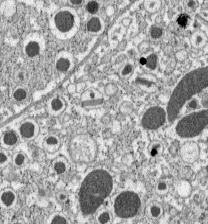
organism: C57BL Mouse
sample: Pancreatic islet